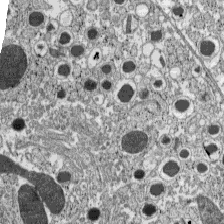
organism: C57BL Mouse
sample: Pancreatic islet